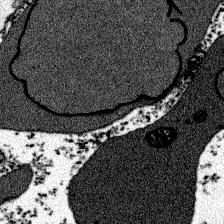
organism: Zebrafish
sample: Larval olfactory bulb